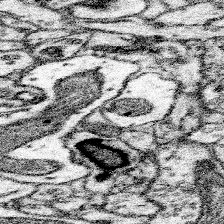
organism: Mouse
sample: Somatosensory cortex neuropil